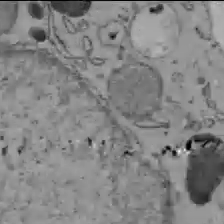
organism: C57BL Mouse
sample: Liver